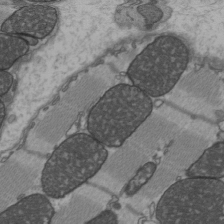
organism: C57BL Mouse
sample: Heart